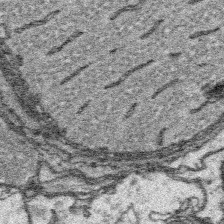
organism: Platynereis dumerilii